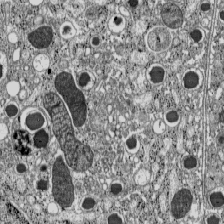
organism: C57BL Mouse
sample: Pancreatic islet